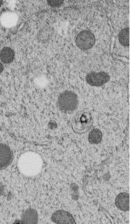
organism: C. elegans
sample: C. elegans embryo early stage